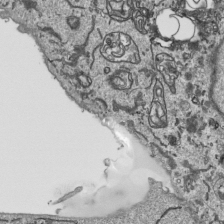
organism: Human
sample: Mitochondria in HCT116 cells